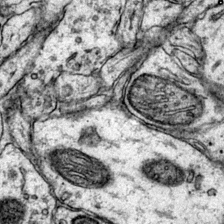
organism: Mouse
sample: Primary visual cortex